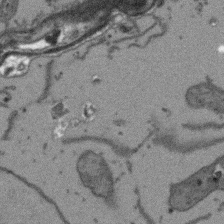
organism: Arabidopsis thaliana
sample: Root tip